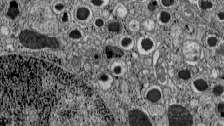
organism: C57BL Mouse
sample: Pancreatic islet